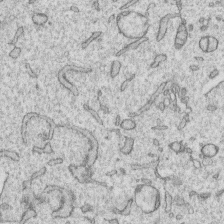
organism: Human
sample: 1205lu cells